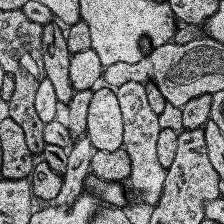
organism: Human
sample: Temporal Lobe